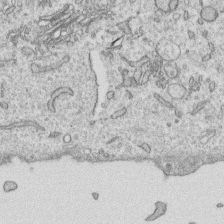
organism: Human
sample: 1205lu cells